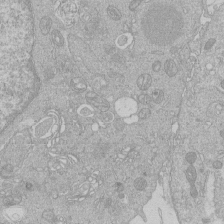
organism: Human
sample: Macrophage cells